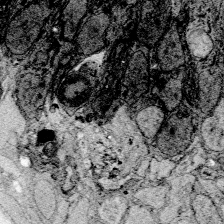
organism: Zebrafish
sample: Whole-Brain